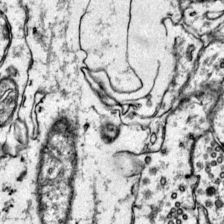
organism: Mouse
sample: Primary visual cortex